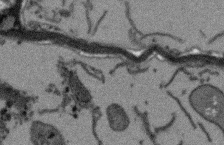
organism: Arabidopsis thaliana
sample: Root tip